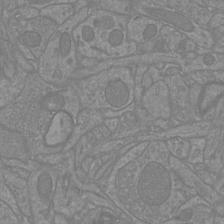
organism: Mouse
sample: Cortical neurons